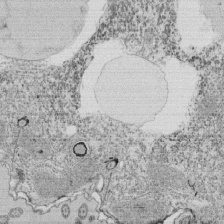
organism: Tetrahymena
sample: Cilia in tetrahymena